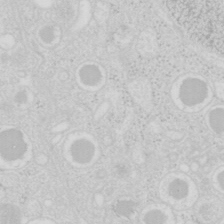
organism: Mouse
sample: Pancreas